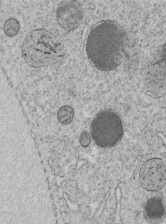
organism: C. elegans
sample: C. elegans embryo early stage